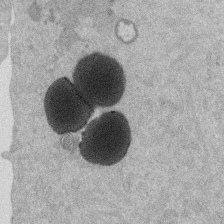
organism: Mouse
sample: Dividing mouse embryo 1 cell stage